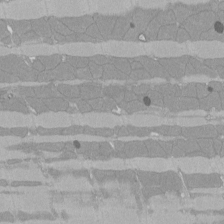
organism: Rat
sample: Left ventricle